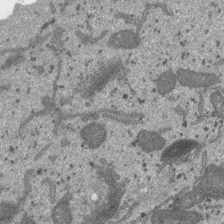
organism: Human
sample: Lung epithelial cells infected with SARS-CoV-2